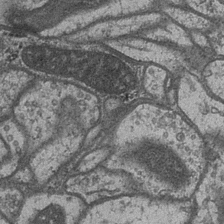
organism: Drosophila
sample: Optic medulla